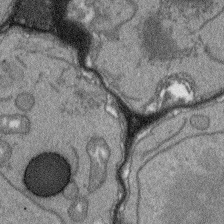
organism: Arabidopsis thaliana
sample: Root tip